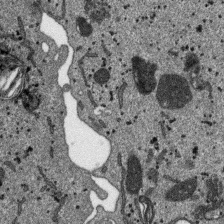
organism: Human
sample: Lung epithelial cells infected with SARS-CoV-2